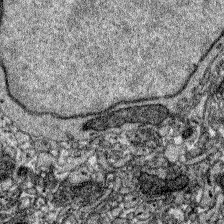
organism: Zebrafish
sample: Larval olfactory bulb